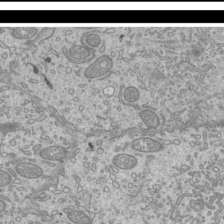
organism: Mouse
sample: Cilia; mouse epididymis